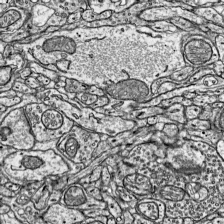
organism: Mouse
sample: Visual Cortex